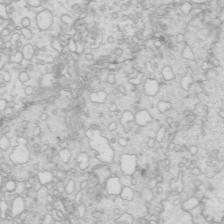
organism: Mouse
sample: Multiciliated cells